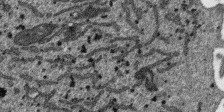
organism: Human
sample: Lung epithelial cells infected with SARS-CoV-2